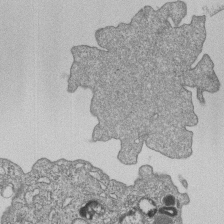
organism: Human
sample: MDA-MB-231 cells